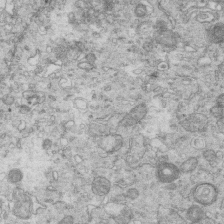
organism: Mouse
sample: Multiciliated cells